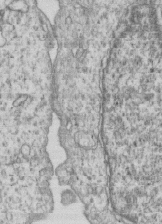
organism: Human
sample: MDA-MB-231 cells